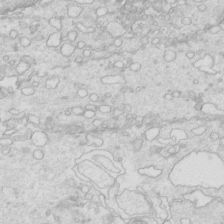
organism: Mouse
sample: Multiciliated cells